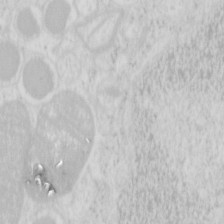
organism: Mouse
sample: Pancreas